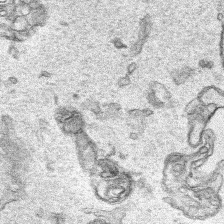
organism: Human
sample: Mitochondria in HCT116 cells